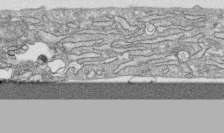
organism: Human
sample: CRL-1474